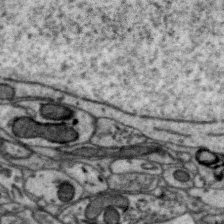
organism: Zebra finch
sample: Brain